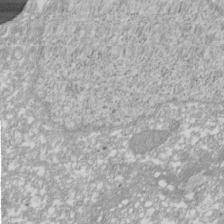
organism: Xenopus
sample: Cilia; centrioles in frog embryo cells